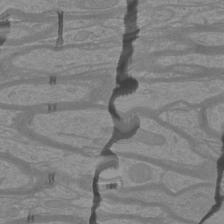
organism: Mouse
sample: Cortical neurons